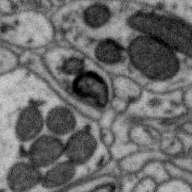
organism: Zebra finch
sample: Brain